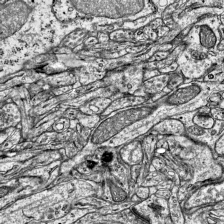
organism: Mouse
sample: Visual Cortex